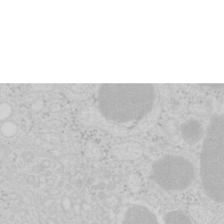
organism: Mouse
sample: Pancreas